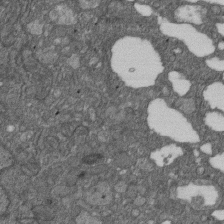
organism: Drosophila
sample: Nephrocyte